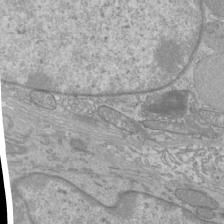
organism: Mouse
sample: Cilia; mouse epididymis